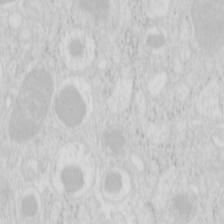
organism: Mouse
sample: Pancreas